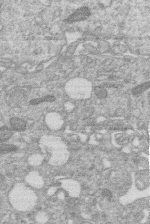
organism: Human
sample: Macrophage cells